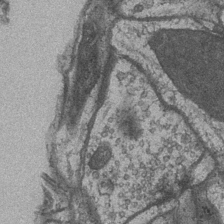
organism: Drosophila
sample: Optic medulla